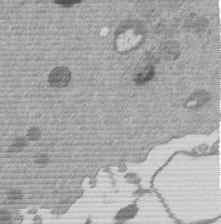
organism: Mouse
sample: Dividing mouse embryo 1 cell stage